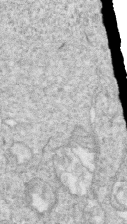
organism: Human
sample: HeLa cell HIV synapse